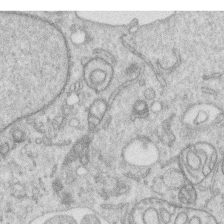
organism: Human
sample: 1205lu cells